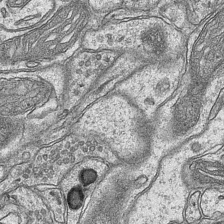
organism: Mouse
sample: CA1 Hippocampus